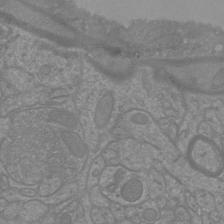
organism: Mouse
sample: Cortical neurons